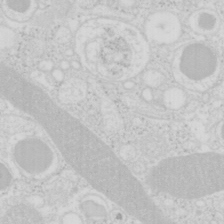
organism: Mouse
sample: Pancreas